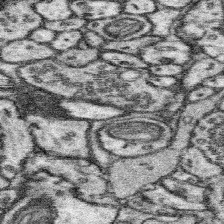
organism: Mouse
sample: Somatosensory cortex neuropil